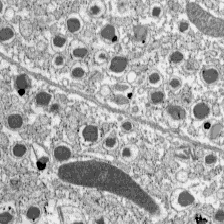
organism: C57BL Mouse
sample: Pancreatic islet